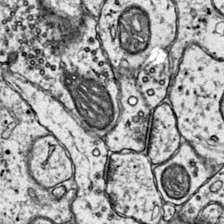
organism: Mouse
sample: Primary visual cortex